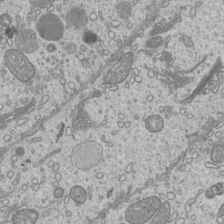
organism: Mouse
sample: Cilia; mouse epididymis